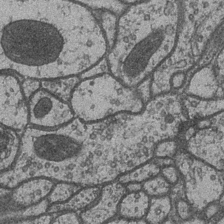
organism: Drosophila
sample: Optic medulla